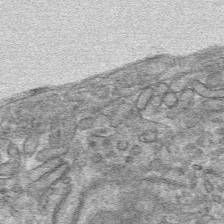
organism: Mouse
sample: Mouse hepatocytes